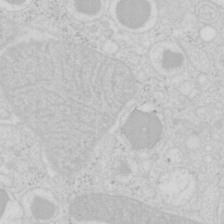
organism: Mouse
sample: Pancreas